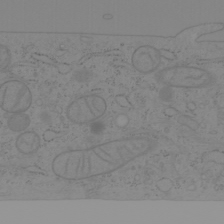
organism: Human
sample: HeLa cells